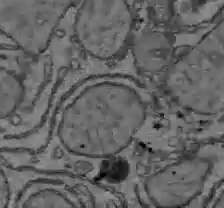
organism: C57BL Mouse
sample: Liver